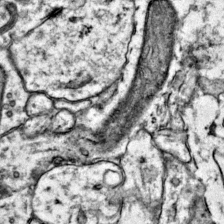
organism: Mouse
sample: Primary visual cortex